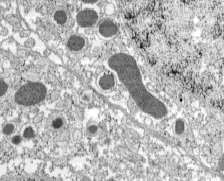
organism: C57BL Mouse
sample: Pancreatic islet